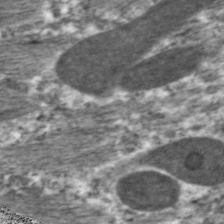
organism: C. elegans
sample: Pharynx